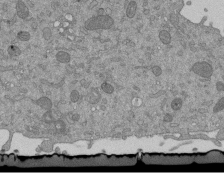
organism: Mouse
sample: ED-1 cell nuclei; centrioles